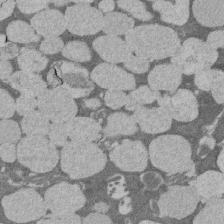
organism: Rat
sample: Salivary granule